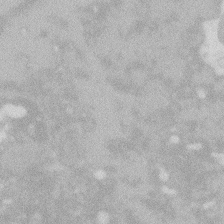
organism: Zebrafish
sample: Macrophage